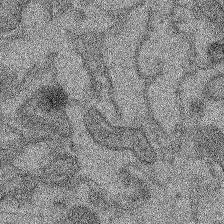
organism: Human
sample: HeLa cells